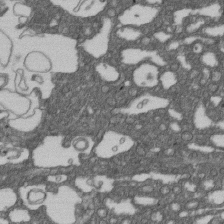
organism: Drosophila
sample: Nephrocyte